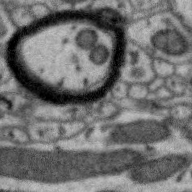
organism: Zebra finch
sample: Brain